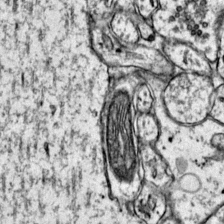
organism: Mouse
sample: Primary visual cortex